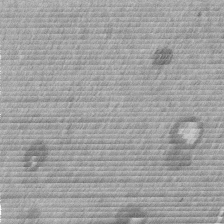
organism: Mouse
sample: Dividing mouse embryo 1 cell stage